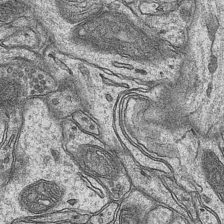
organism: Mouse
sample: CA1 Hippocampus